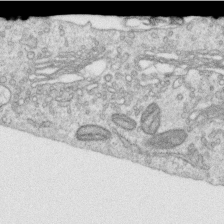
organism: Human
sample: Centriole in RPE cells